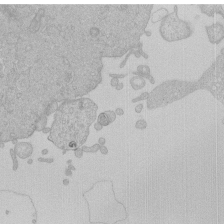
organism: Human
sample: Macrophage cells